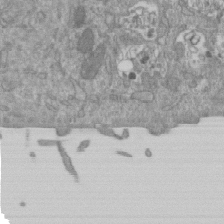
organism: Mouse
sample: ED-1 cell nuclei; centrioles